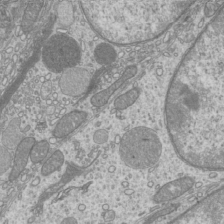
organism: Mouse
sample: Cilia; mouse epididymis